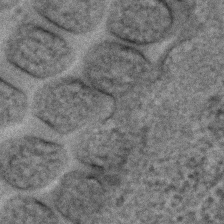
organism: C. elegans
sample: C. elegans embryo